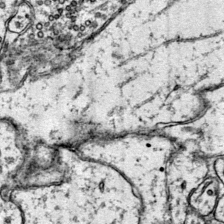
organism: Mouse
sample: Primary visual cortex